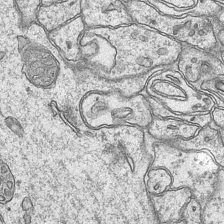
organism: Mouse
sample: CA1 Hippocampus